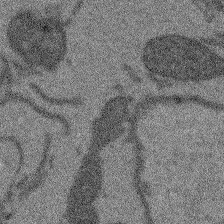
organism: Arabidopsis thaliana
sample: Root tip